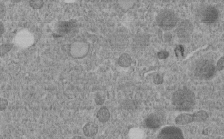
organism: C. elegans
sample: C. elegans embryo early stage